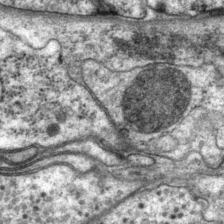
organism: P. pacificus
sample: Pharynx